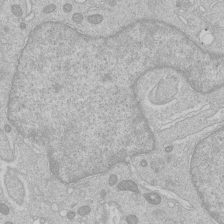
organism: Human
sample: Macrophage cells